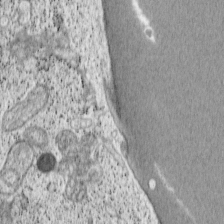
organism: African green monkey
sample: COS-7 cells